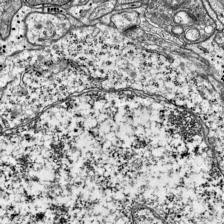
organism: Mouse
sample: Visual Cortex